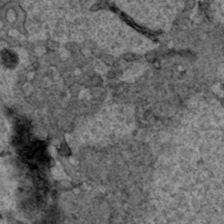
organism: Human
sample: Mitochondria in HCT116 cells